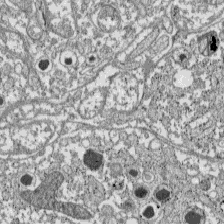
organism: C57BL Mouse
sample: Pancreatic islet